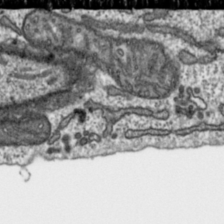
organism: Toxoplasma gondii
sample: Parasites in a vacuole inside a host cell